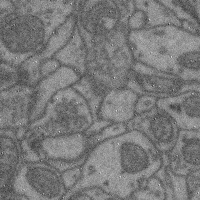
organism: Mouse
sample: Cerebral cortex